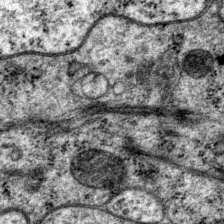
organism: P. pacificus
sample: Pharynx